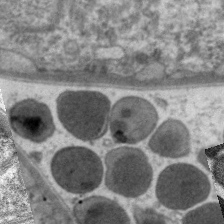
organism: C. elegans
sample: Pharynx